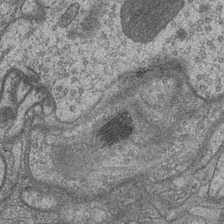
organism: Drosophila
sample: Optic medulla